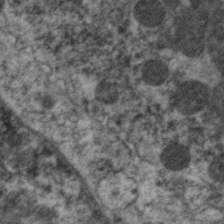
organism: C. elegans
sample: Pharynx